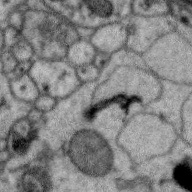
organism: Zebra finch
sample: Brain